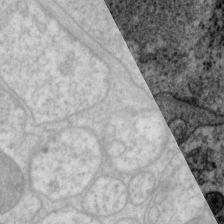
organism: P. pacificus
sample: Pharynx